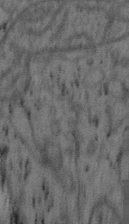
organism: Human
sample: HeLa cells